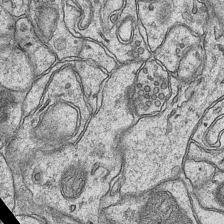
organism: Mouse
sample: CA1 Hippocampus